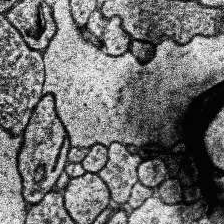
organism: Human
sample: Temporal Lobe